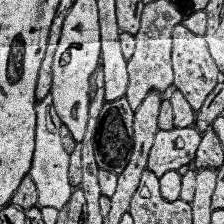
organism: Human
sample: Temporal Lobe